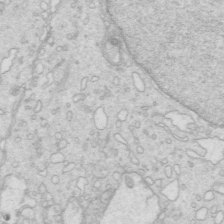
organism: Mouse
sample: Multiciliated cells